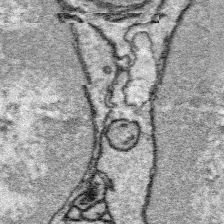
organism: Platynereis dumerilii